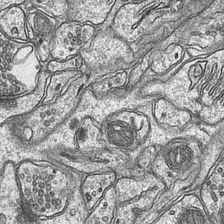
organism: Mouse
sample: CA1 Hippocampus